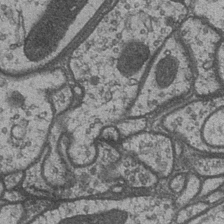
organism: Drosophila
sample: Optic medulla